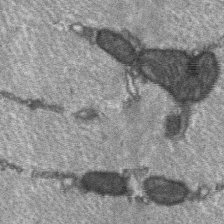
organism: C57BL Mouse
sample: Soleus